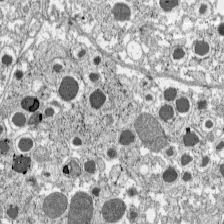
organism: C57BL Mouse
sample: Pancreatic islet